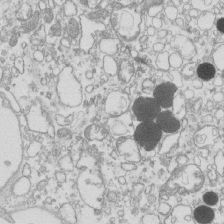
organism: Mouse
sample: Macrophages